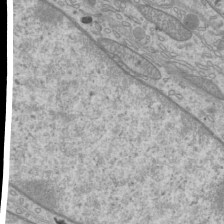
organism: Mouse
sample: Cilia; mouse epididymis